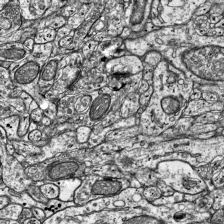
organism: Mouse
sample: Visual Cortex